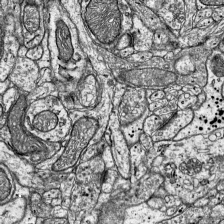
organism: Mouse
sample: Visual Cortex